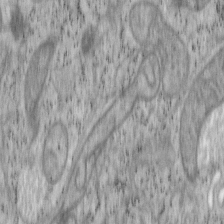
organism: Human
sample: HeLa cells